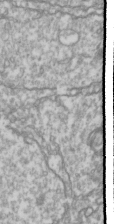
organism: Drosophila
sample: Cell division; meiosis; drosophila spermatocytes